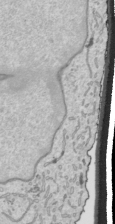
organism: Human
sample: Mitochondria in HCT116 cells